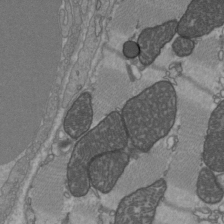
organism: C57BL Mouse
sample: Heart